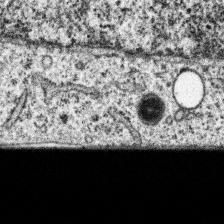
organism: Human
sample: HeLa cells